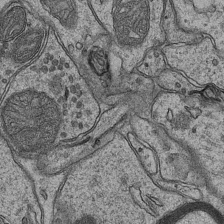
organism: Mouse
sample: CA1 Hippocampus